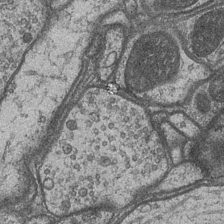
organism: Drosophila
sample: Optic medulla